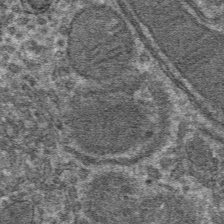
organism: Mouse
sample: Mouse hepatocytes